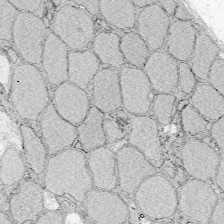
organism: Zebrafish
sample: Whole-Brain